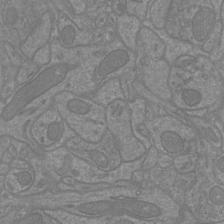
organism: Mouse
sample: Cortical neurons